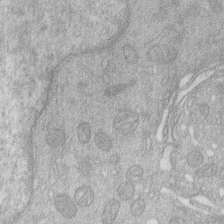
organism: Human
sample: Macrophage cells